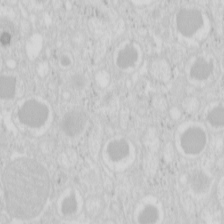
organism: Mouse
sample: Pancreas